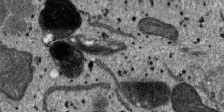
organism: Human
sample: Lung epithelial cells, uninfected (mock) control